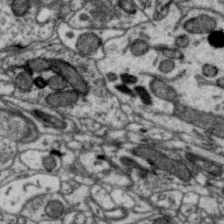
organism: Zebra finch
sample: Brain